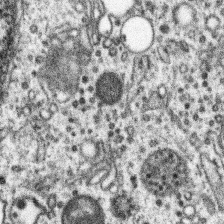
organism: Human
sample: HeLa cells